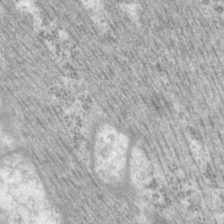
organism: P. pacificus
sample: Pharynx